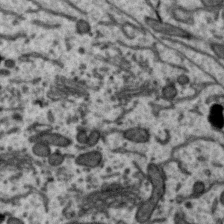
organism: Zebra finch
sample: Brain